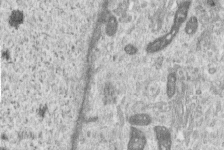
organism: Human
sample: Centriole in RPE cells